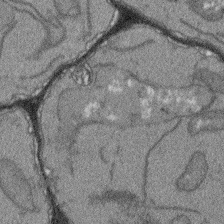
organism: Arabidopsis thaliana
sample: Root tip